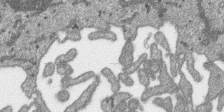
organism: Human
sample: Lung epithelial cells infected with SARS-CoV-2